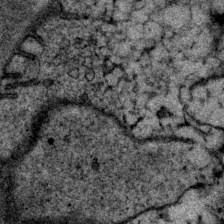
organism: P. pacificus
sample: Pharynx